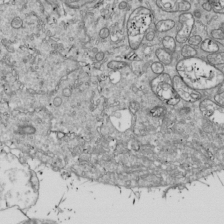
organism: Drosophila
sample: Cell division; meiosis; drosophila spermatocytes